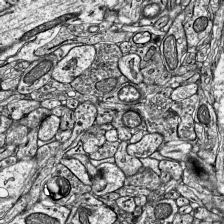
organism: Mouse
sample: Visual Cortex